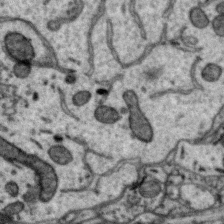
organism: Zebra finch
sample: Brain